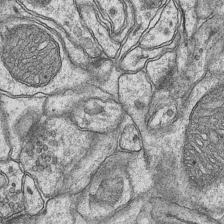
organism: Mouse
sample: CA1 Hippocampus